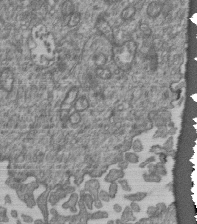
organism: Human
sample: Retinal organoid Rod and Cone cells